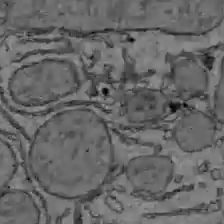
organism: C57BL Mouse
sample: Liver